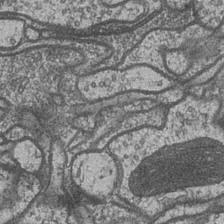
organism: Drosophila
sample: Optic medulla